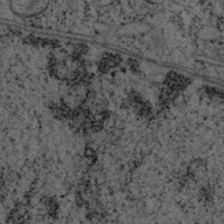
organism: Human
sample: HeLa cells